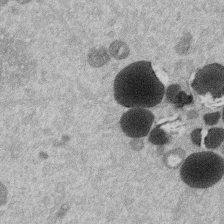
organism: Mouse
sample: Dividing mouse embryo 1 cell stage